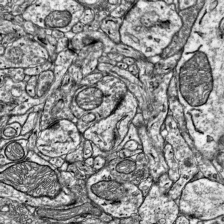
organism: Mouse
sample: Visual Cortex